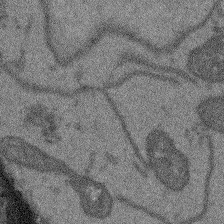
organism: Arabidopsis thaliana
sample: Root tip